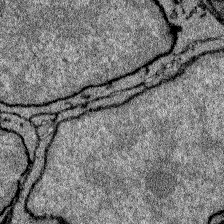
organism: Zebrafish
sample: Larval olfactory bulb